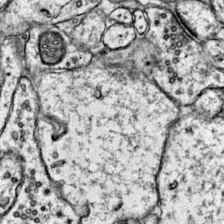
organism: Mouse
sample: Primary visual cortex